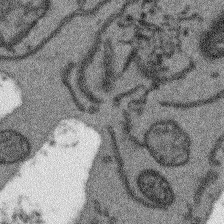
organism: Arabidopsis thaliana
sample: Root tip